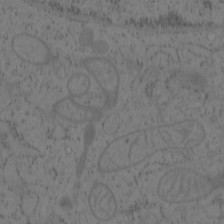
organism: Human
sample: HeLa cells